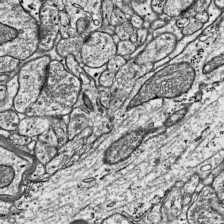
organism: Mouse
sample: Visual Cortex